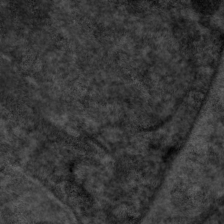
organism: C. elegans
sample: Pharynx